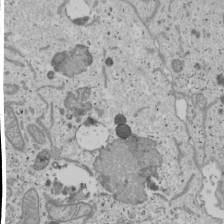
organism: Human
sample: Mitochondria in U2OS cells